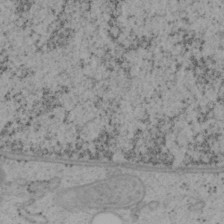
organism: Human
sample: HeLa cells